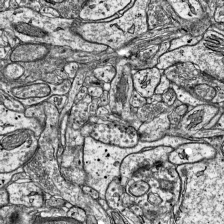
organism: Mouse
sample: Visual Cortex